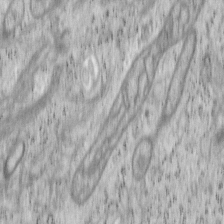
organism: Human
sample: HeLa cells